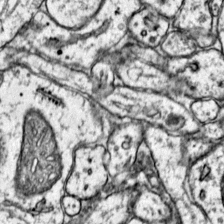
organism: Mouse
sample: Primary visual cortex